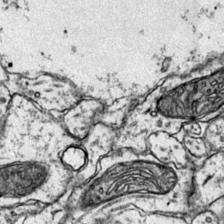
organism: Mouse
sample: Primary visual cortex